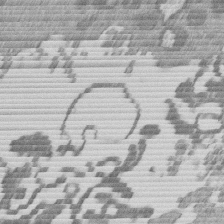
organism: Mouse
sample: Dividing mouse embryo 1 cell stage